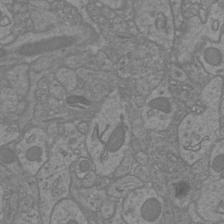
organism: Mouse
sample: Cortical neurons